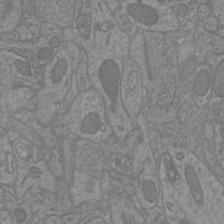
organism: Mouse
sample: Cortical neurons